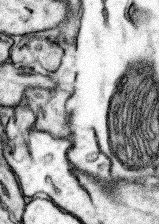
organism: Mouse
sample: Somatosensory cortex neuropil